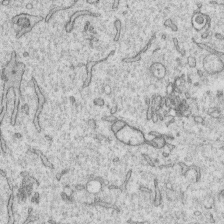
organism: Human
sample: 1205lu cells